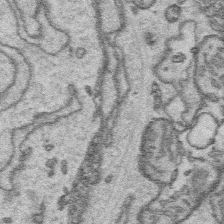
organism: Platynereis dumerilii